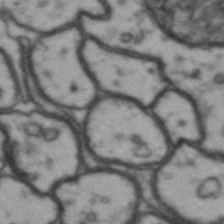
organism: Drosophila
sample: Brain